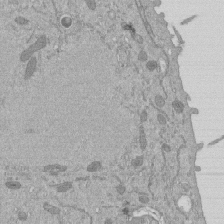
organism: Mouse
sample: ED-1 cell nuclei; centrioles